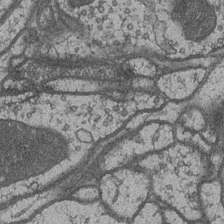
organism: Drosophila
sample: Optic medulla